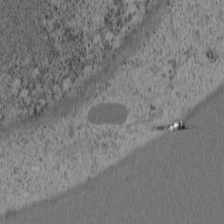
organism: African green monkey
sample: COS-7 cells